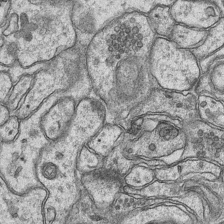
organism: Mouse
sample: CA1 Hippocampus